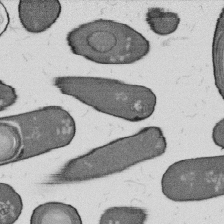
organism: B. subtilis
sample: Bacterial spore